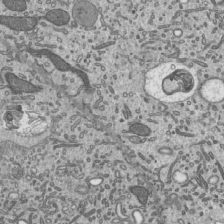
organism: Mouse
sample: Mouse epididymis efferent ductule cilia